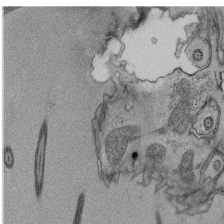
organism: Tetrahymena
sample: Cilia in tetrahymena